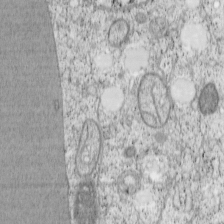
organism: African green monkey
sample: COS-7 cells